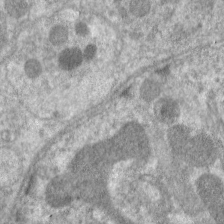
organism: C. elegans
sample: Pharynx